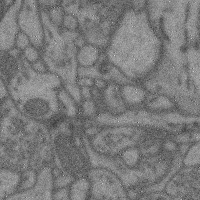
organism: Mouse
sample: Cerebral cortex